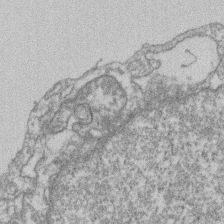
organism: Mouse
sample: T cell stromal cell synapse